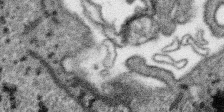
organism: Human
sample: Lung epithelial cells infected with SARS-CoV-2